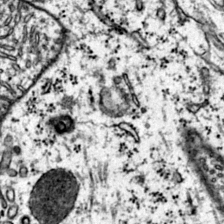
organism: Mouse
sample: Primary visual cortex